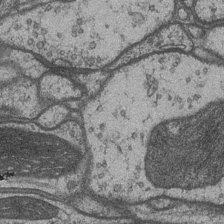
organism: Drosophila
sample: Optic medulla